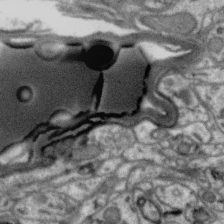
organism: Zebra finch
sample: Brain